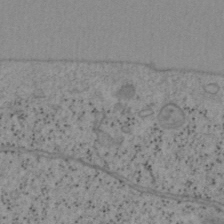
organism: Human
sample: HeLa cells